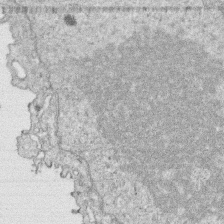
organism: Human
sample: HeLa cell HIV synapse